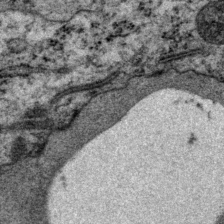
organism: P. pacificus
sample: Pharynx